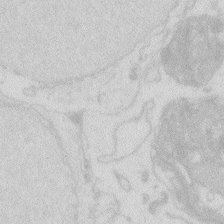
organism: Zebrafish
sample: Macrophage